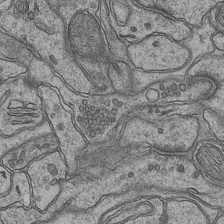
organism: Mouse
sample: CA1 Hippocampus